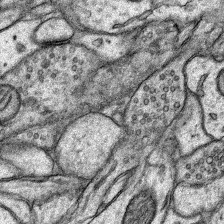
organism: Rat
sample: Hippocampus